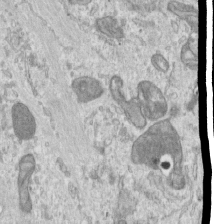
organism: Human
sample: Centriole in RPE cells